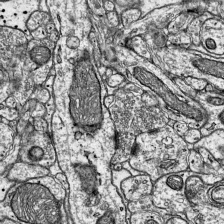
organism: Mouse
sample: Visual Cortex